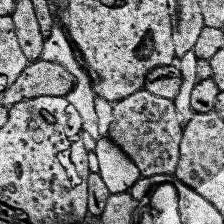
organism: Human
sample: Temporal Lobe